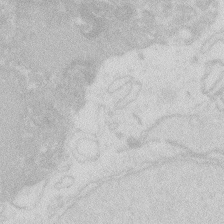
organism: Zebrafish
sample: Macrophage